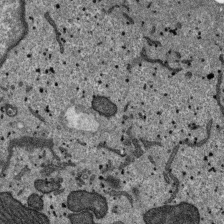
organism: Human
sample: Lung epithelial cells, uninfected (mock) control